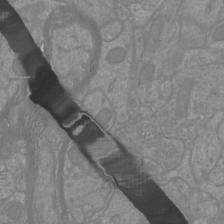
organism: Mouse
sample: Cortical neurons